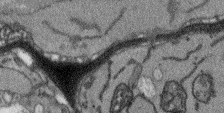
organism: Arabidopsis thaliana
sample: Root tip